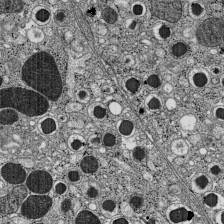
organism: C57BL Mouse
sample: Pancreatic islet